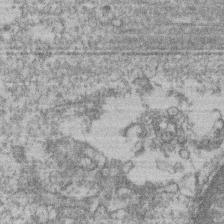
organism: Mouse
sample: T cell stromal cell synapse